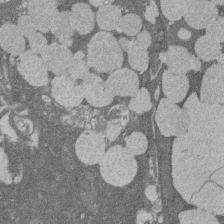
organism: Rat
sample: Salivary granule